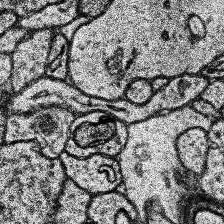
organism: Human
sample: Temporal Lobe